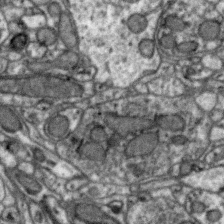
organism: Zebra finch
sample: Brain